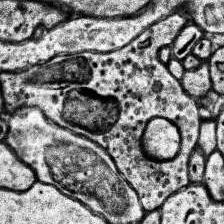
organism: Human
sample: Temporal Lobe